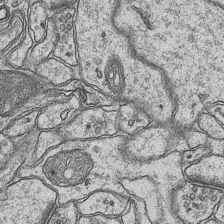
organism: Mouse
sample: CA1 Hippocampus